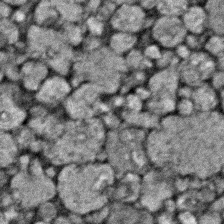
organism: Zebrafish